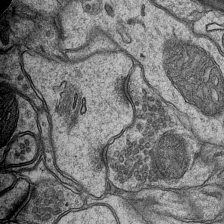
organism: Mouse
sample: CA1 Hippocampus